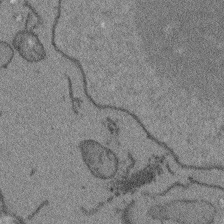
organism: Arabidopsis thaliana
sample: Root tip